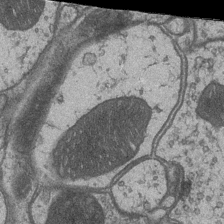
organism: Drosophila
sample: Optic medulla